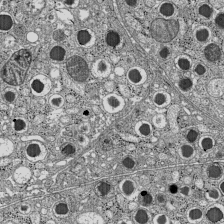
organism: C57BL Mouse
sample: Pancreatic islet